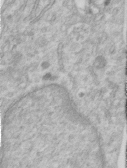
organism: Human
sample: Centriole in RPE cells